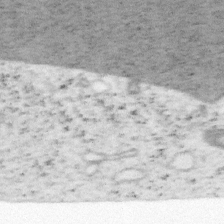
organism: Mouse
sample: OT-I killer T cells with ID8 ovarian cancer cells